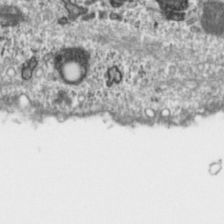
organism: Toxoplasma gondii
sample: Parasites in a vacuole inside a host cell